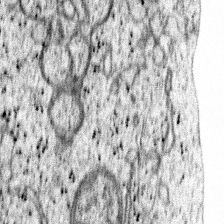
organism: Human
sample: HeLa cells